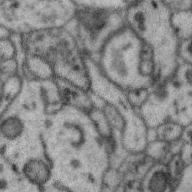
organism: Zebra finch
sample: Brain